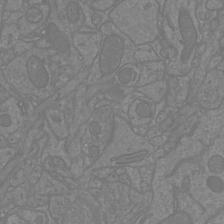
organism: Mouse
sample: Cortical neurons